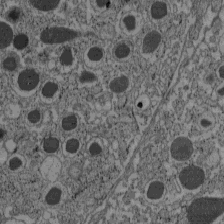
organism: C57BL Mouse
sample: Pancreatic islet